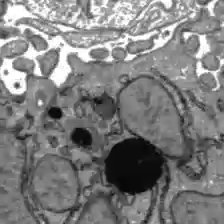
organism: C57BL Mouse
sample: Liver